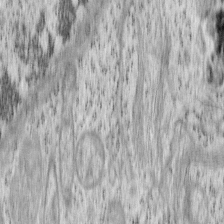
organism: Human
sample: HeLa cells